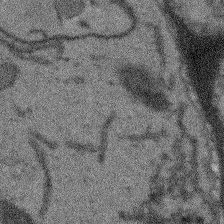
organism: Arabidopsis thaliana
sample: Root tip